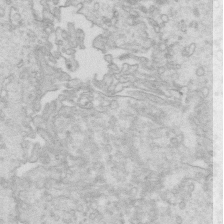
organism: Mouse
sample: Multiciliated cells